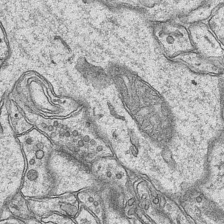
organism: Mouse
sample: CA1 Hippocampus